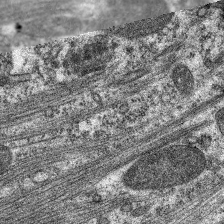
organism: C. elegans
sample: Pharynx